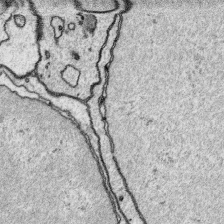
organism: Platynereis dumerilii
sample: Parapodia